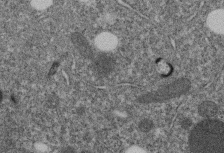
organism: C. elegans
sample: C. elegans embryo early stage